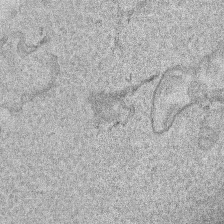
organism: Human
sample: Mitochondria in HCT116 cells